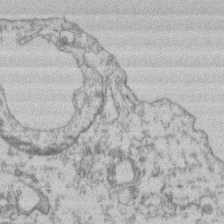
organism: Mouse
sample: T cell stromal cell synapse